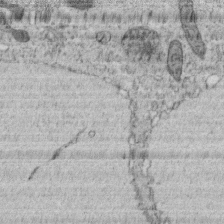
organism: C. elegans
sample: C. elegans embryo early stage